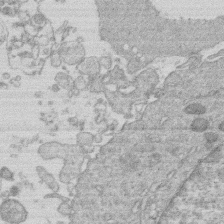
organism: Human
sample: Macrophage cells